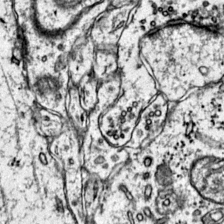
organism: Mouse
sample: Primary visual cortex